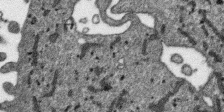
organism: Human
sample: Lung epithelial cells infected with SARS-CoV-2